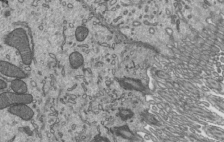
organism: Mouse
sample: Mouse epididymis efferent ductule cilia